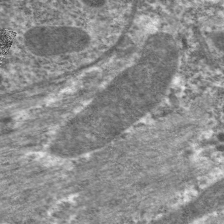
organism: C. elegans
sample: Pharynx